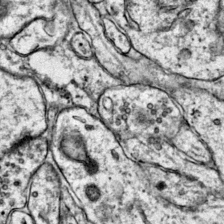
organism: Mouse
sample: Primary visual cortex